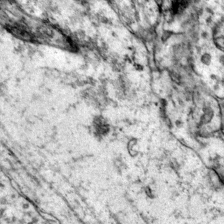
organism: Mouse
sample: Primary visual cortex